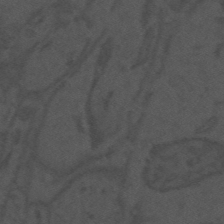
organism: Mouse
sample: Suprachiasmatic nucleus